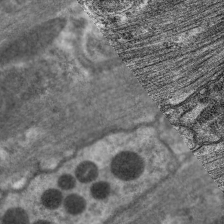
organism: C. elegans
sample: Pharynx